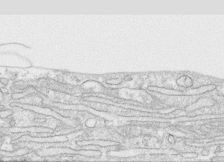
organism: Human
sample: CRL-1474